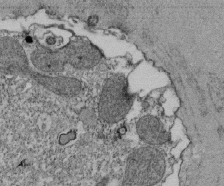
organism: Tetrahymena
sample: Cilia in tetrahymena